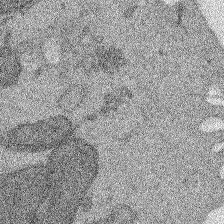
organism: Human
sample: HeLa cells